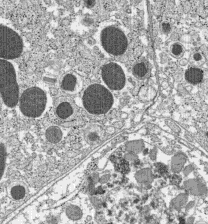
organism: C57BL Mouse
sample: Pancreatic islet